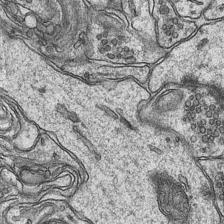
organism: Mouse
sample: CA1 Hippocampus